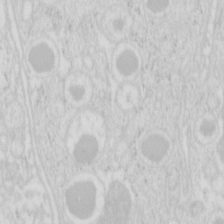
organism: Mouse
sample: Pancreas